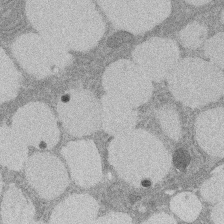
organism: Rat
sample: Salivary granule